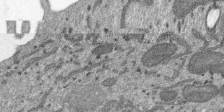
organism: Human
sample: Lung epithelial cells infected with SARS-CoV-2